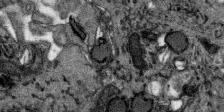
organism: Human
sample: Lung epithelial cells, uninfected (mock) control